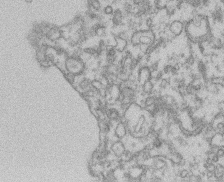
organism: Mouse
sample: T cell stromal cell synapse